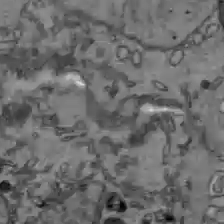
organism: C57BL Mouse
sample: Liver